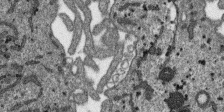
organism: Human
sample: Lung epithelial cells infected with SARS-CoV-2